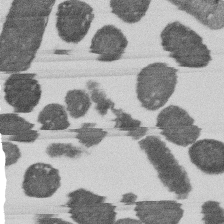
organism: E. coli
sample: Bacterial nucleoid